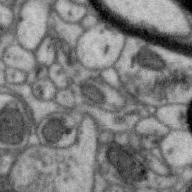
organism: Zebra finch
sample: Brain